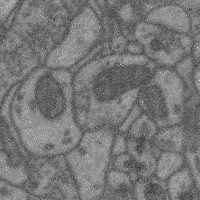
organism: Mouse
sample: Cerebral cortex